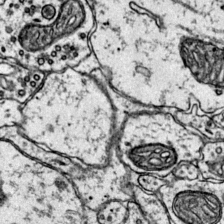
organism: Mouse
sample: Primary visual cortex